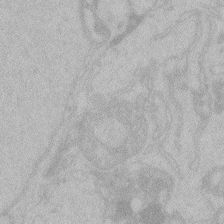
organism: Zebrafish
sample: Macrophage infected with Toxoplasma gondii